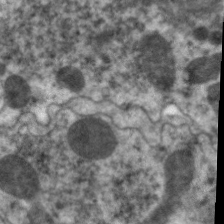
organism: C. elegans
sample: Pharynx